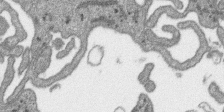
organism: Human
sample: Lung epithelial cells infected with SARS-CoV-2